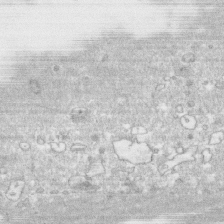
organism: Human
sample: CRL-1474